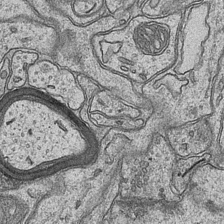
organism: Mouse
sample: CA1 Hippocampus